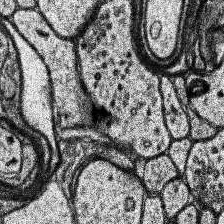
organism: Human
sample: Temporal Lobe